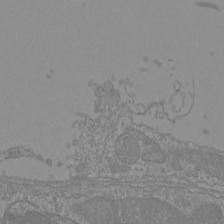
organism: Mouse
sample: Cortical neurons